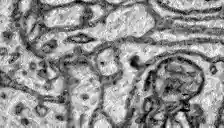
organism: Zebrafish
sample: Brain